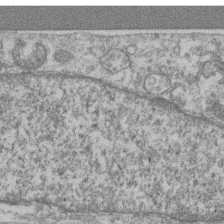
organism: Mouse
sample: T cell stromal cell synapse